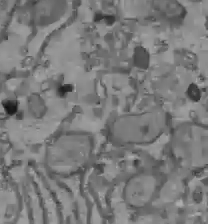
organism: C57BL Mouse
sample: Liver